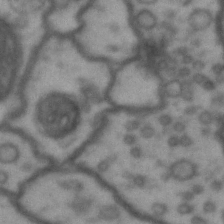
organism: Drosophila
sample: Brain